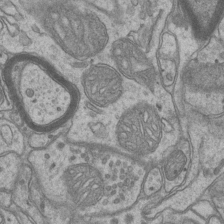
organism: Mouse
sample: CA1 Hippocampus